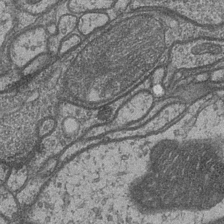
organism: Drosophila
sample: Optic medulla